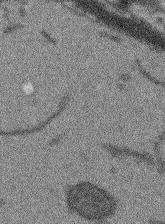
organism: Arabidopsis thaliana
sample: Root tip